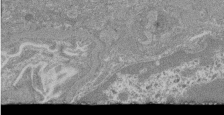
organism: Mouse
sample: Glomerulus